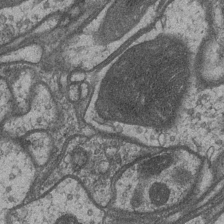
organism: Drosophila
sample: Optic medulla